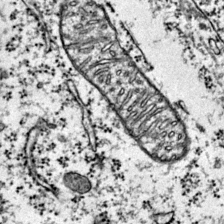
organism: Mouse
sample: Primary visual cortex